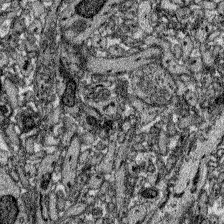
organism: Zebrafish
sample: Larval olfactory bulb